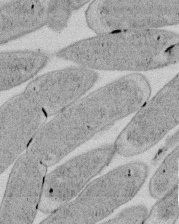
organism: E. coli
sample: Bacterial nucleoid